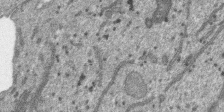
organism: Human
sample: Lung epithelial cells infected with SARS-CoV-2